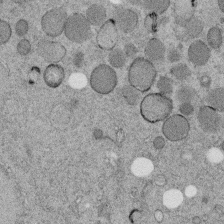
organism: C. elegans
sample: C. elegans embryo early stage